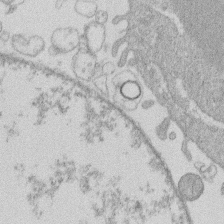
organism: Human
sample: Macrophage cells